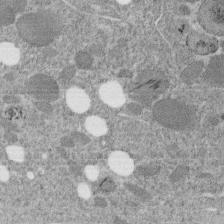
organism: C. elegans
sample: C. elegans embryo early stage